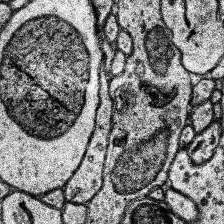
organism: Human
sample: Temporal Lobe